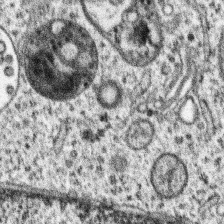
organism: Human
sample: HeLa cells